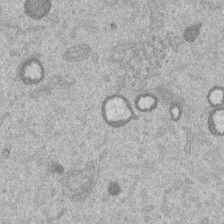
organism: Mouse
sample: Dividing mouse embryo 1 cell stage